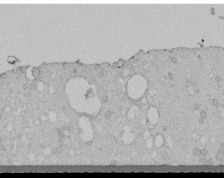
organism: Human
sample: Melanocyte Keratinocyte synapse skin construct